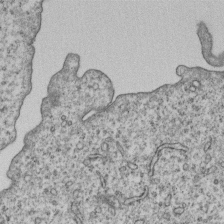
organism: Human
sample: MDA-MB-231 cells